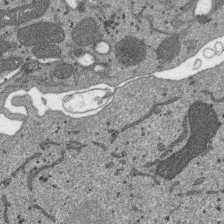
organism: Human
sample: Lung epithelial cells infected with SARS-CoV-2